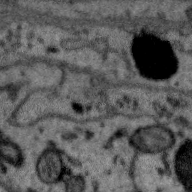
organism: Zebra finch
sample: Brain